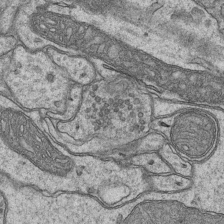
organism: Mouse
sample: CA1 Hippocampus